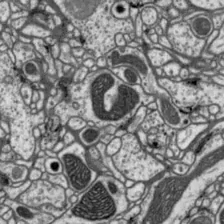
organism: Drosophila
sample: Protocerebral bridge